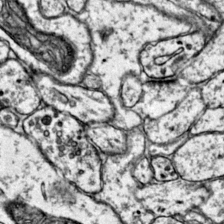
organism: Mouse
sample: Primary visual cortex